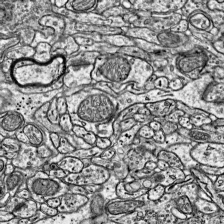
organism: Mouse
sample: Visual Cortex